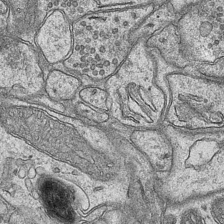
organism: Mouse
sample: CA1 Hippocampus